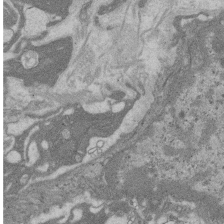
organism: Rat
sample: Salivary granule